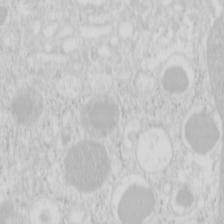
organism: Mouse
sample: Pancreas